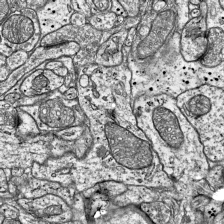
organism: Mouse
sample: Visual Cortex